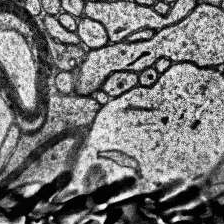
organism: Human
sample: Temporal Lobe